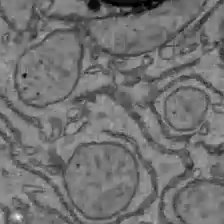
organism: C57BL Mouse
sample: Liver